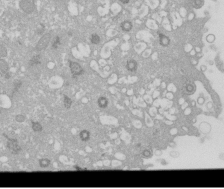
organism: Xenopus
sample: Cilia; centrioles in frog embryo cells